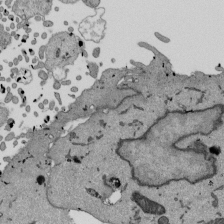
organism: Mouse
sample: ED-1 cell nuclei; centrioles